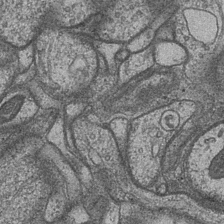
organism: Drosophila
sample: Optic medulla